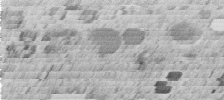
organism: C. elegans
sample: C. elegans embryo early stage